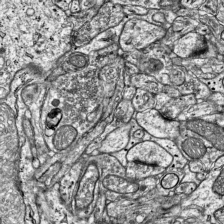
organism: Mouse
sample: Visual Cortex